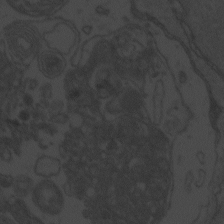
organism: Zebrafish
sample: Macrophage infected with Toxoplasma gondii